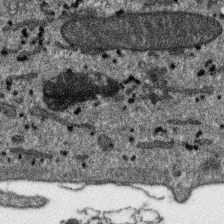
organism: Human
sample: Lung epithelial cells infected with SARS-CoV-2